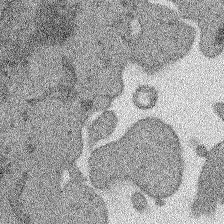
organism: Human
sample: HeLa cells